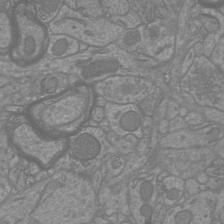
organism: Mouse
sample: Cortical neurons